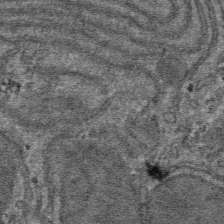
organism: Mouse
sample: Mouse hepatocytes